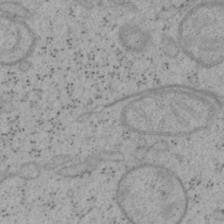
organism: Human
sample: HeLa cells